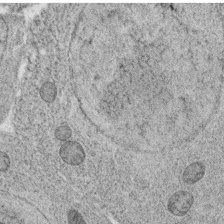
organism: C. elegans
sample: C. elegans oocyte; sperm cells